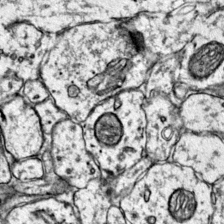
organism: Mouse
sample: Primary visual cortex